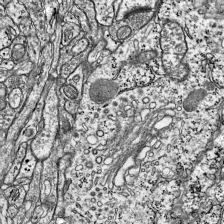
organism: Mouse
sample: Visual Cortex